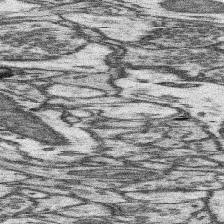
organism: Mouse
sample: Somatosensory cortex neuropil